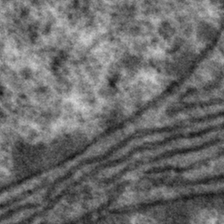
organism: Mouse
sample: Mouse hepatocytes